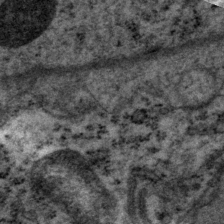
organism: P. pacificus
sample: Pharynx